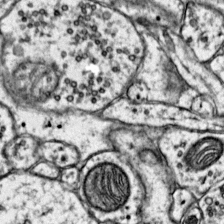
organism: Mouse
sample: Primary visual cortex